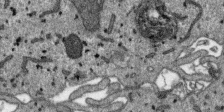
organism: Human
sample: Lung epithelial cells, uninfected (mock) control